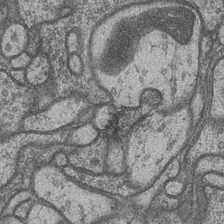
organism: Drosophila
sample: Optic medulla